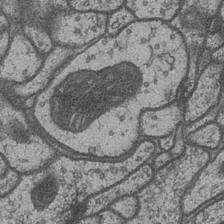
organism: Drosophila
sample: Optic medulla